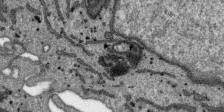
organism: Human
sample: Lung epithelial cells, uninfected (mock) control